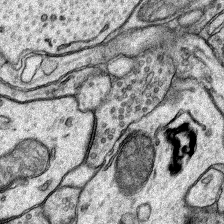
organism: Rat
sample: Hippocampus